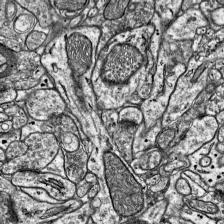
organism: Mouse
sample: Visual Cortex